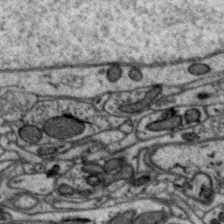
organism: Zebra finch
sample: Brain